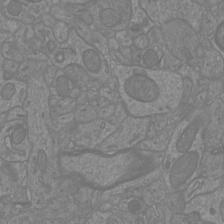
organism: Mouse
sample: Cortical neurons